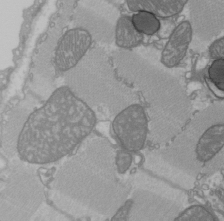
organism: C57BL Mouse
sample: Heart